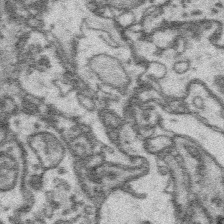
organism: Platynereis dumerilii